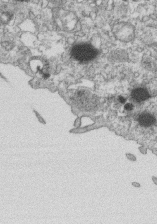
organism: Human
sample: HeLa cell HIV synapse